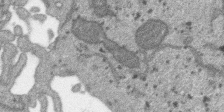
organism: Human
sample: Lung epithelial cells infected with SARS-CoV-2